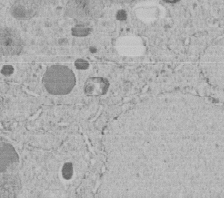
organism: C. elegans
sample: C. elegans embryo early stage